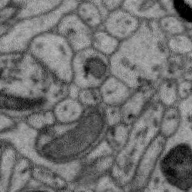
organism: Zebra finch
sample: Brain